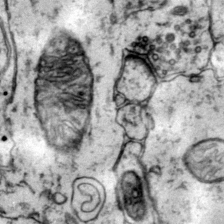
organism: Mouse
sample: Primary visual cortex